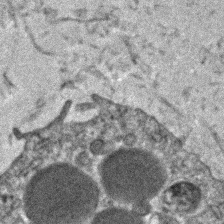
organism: Human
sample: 1205lu cells